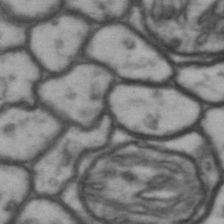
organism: Drosophila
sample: Brain